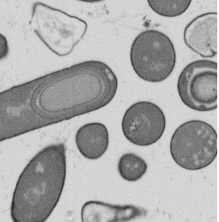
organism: B. subtilis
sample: Bacterial spore